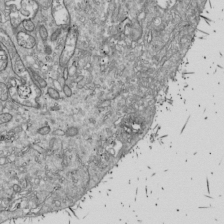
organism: Drosophila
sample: Cell division; meiosis; drosophila spermatocytes